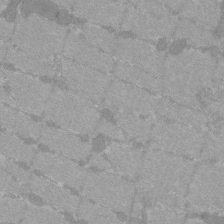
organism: C57BL Mouse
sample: Tibialis anterior muscle cell